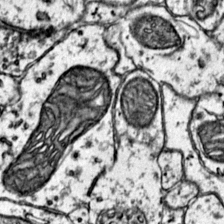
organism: Mouse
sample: Primary visual cortex